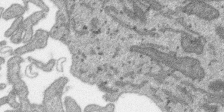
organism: Human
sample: Lung epithelial cells infected with SARS-CoV-2